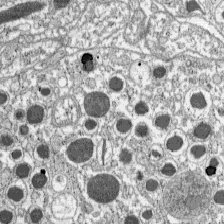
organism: C57BL Mouse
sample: Pancreatic islet